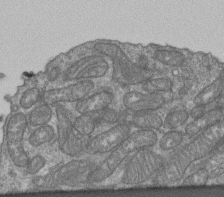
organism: Human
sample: Retinal organoid Rod and Cone cells